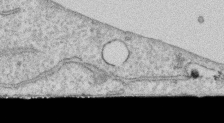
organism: Human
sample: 1205lu cells